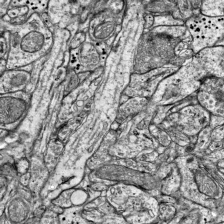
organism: Mouse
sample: Visual Cortex